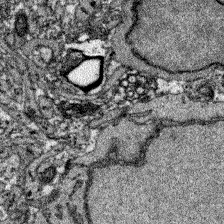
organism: Zebrafish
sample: Larval olfactory bulb